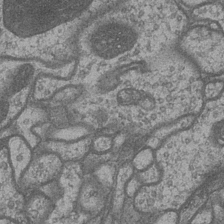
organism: Drosophila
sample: Optic medulla